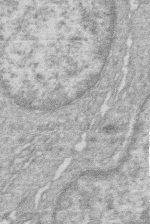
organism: Human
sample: Macrophage cells